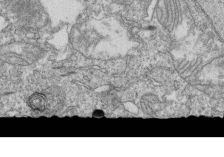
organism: Human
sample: HeLa cell HIV synapse